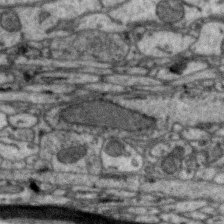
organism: Zebra finch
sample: Brain